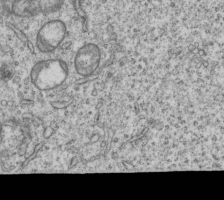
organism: Human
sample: MDA-MB-231 cells